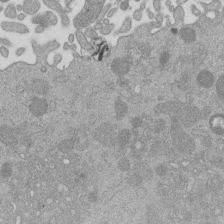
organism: Mouse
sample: Dividing mouse embryo 1 cell stage